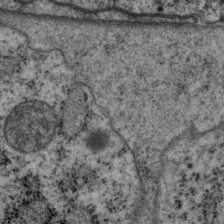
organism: P. pacificus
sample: Pharynx